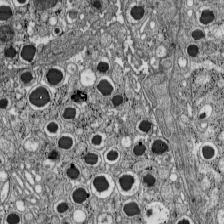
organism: C57BL Mouse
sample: Pancreatic islet